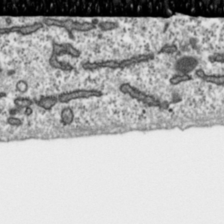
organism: Toxoplasma gondii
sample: Parasites in a vacuole inside a host cell